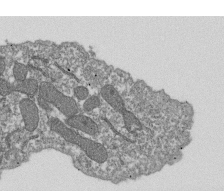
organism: Dictyostelium discoideum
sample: Dictyostelium multivesicular bodies